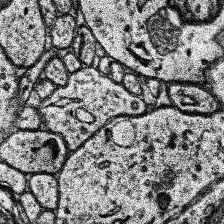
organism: Human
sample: Temporal Lobe